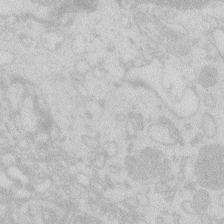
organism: Zebrafish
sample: Macrophage